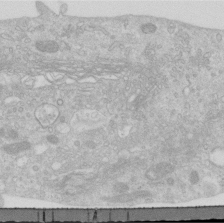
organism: Human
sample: Centriole in RPE cells